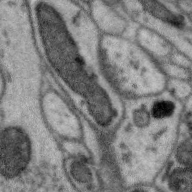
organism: Zebra finch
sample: Brain